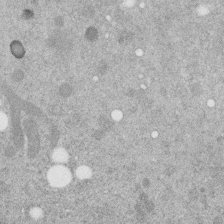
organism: C. elegans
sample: C. elegans embryo early stage